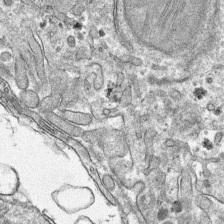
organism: Mouse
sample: Mouse hepatocytes